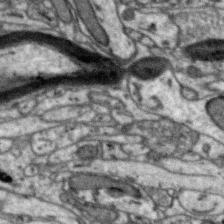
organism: Zebra finch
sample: Brain